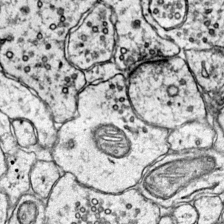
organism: Mouse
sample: Primary visual cortex